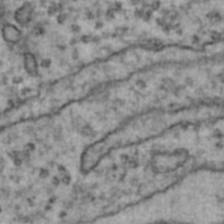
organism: Human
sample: Blood